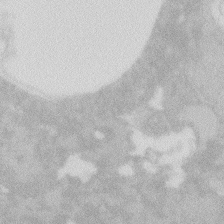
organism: Zebrafish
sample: Macrophage